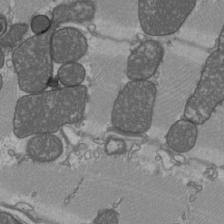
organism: C57BL Mouse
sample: Heart